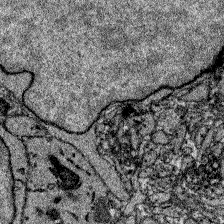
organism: Zebrafish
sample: Larval olfactory bulb